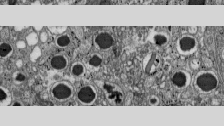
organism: C57BL Mouse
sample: Pancreatic islet